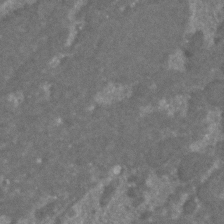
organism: C. elegans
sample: C. elegans embryo